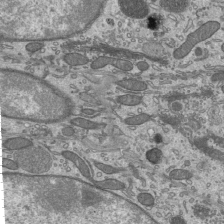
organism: Mouse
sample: Mouse epididymis efferent ductule cilia